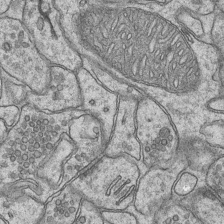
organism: Mouse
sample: CA1 Hippocampus